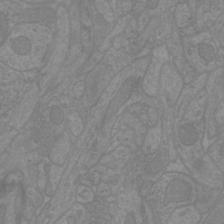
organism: Mouse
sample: Cortical neurons